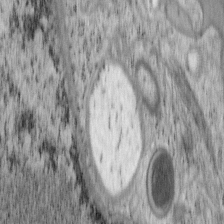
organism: Human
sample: HeLa cells